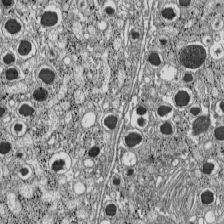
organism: C57BL Mouse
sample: Pancreatic islet